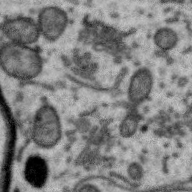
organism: Zebra finch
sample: Brain